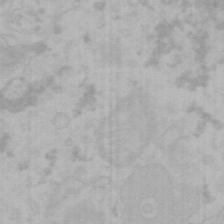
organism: Mouse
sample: Choroid plexus